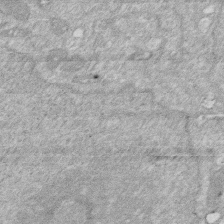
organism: Human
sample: HIV infected U937 cells